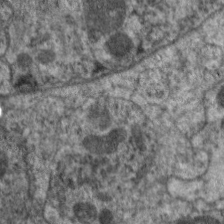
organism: C. elegans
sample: Pharynx